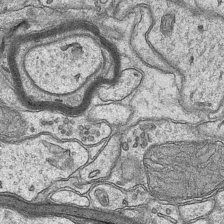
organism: Mouse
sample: CA1 Hippocampus